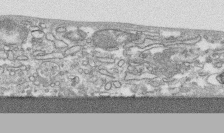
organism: Human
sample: CRL-1474